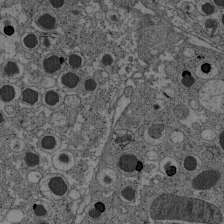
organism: C57BL Mouse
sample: Pancreatic islet